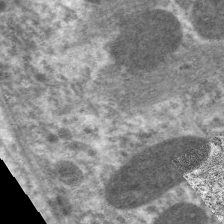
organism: C. elegans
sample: Pharynx